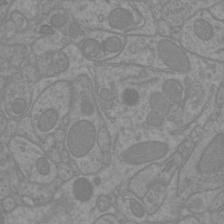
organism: Mouse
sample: Cortical neurons